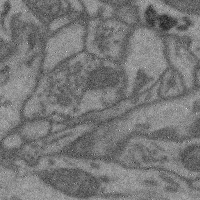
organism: Mouse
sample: Cerebral cortex